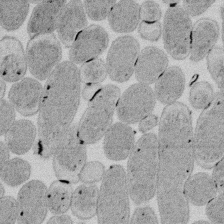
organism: E. coli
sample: Bacterial nucleoid